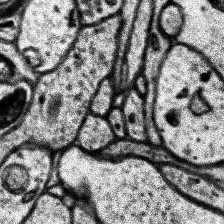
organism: Human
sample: Temporal Lobe